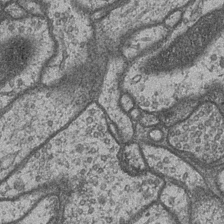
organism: Drosophila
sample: Optic medulla